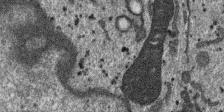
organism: Human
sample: Lung epithelial cells infected with SARS-CoV-2